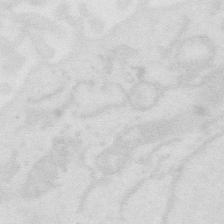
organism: Human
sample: HeLa cells